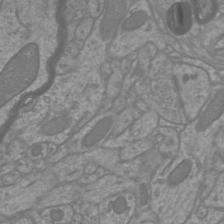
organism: Mouse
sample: Cortical neurons